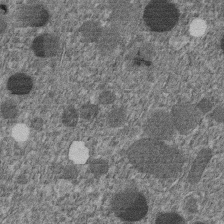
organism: C. elegans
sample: C. elegans embryo early stage